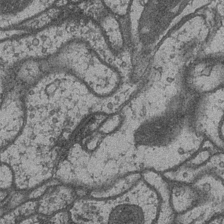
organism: Drosophila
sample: Optic medulla